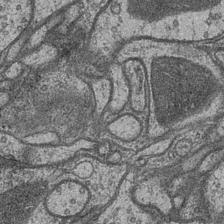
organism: Drosophila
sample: Optic medulla